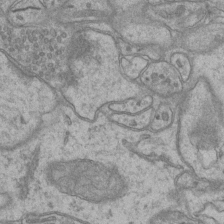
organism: Mouse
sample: CA1 Hippocampus